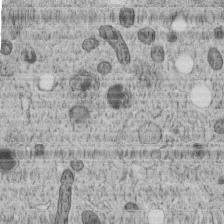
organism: C. elegans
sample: C. elegans embryo early stage